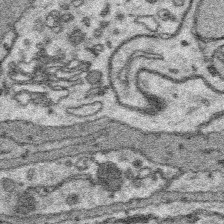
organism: Platynereis dumerilii